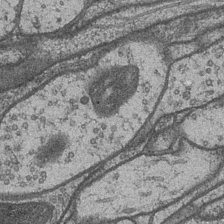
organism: Drosophila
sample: Optic medulla